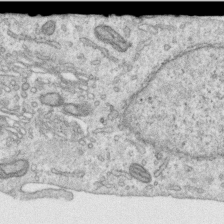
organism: Human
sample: Centriole in RPE cells